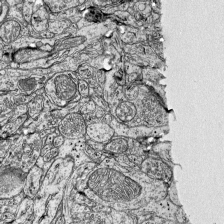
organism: Mouse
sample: Visual Cortex